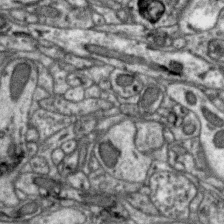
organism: Zebra finch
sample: Brain